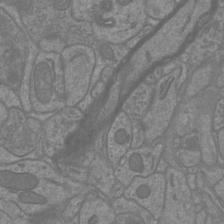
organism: Mouse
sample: Cortical neurons